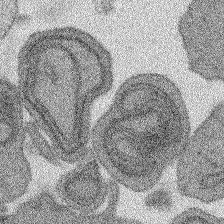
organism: Human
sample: HeLa cells